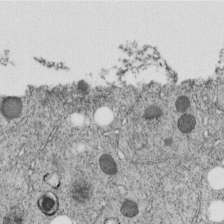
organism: C. elegans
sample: C. elegans embryo early stage